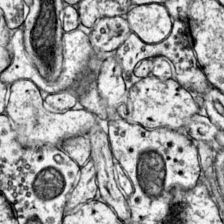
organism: Mouse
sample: Primary visual cortex